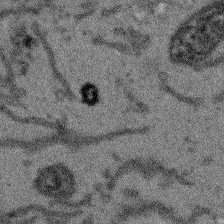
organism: Arabidopsis thaliana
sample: Root tip